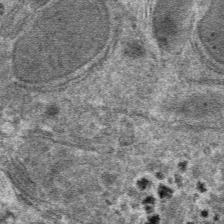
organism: Mouse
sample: Mouse hepatocytes